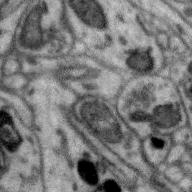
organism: Zebra finch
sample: Brain